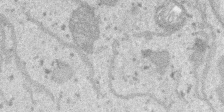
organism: Human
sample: Lung epithelial cells infected with SARS-CoV-2